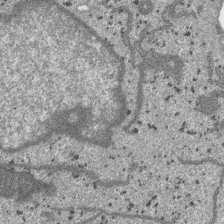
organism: Human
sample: Lung epithelial cells infected with SARS-CoV-2